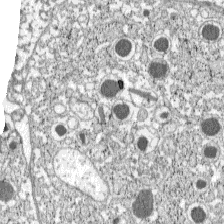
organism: C57BL Mouse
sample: Pancreatic islet